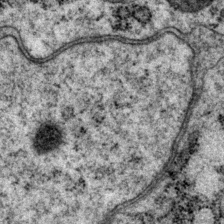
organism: P. pacificus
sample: Pharynx